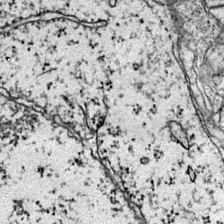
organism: Mouse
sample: Primary visual cortex